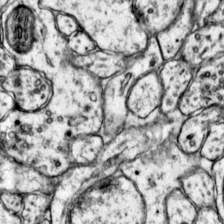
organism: Mouse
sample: Primary visual cortex